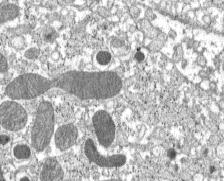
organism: C57BL Mouse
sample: Pancreatic islet